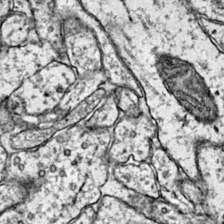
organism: Mouse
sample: Primary visual cortex